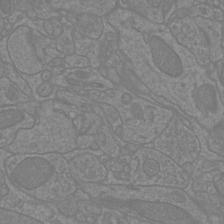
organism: Mouse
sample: Cortical neurons